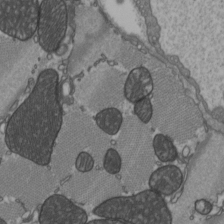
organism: C57BL Mouse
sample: Heart